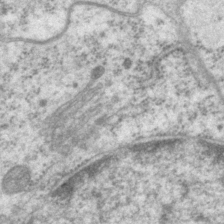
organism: P. pacificus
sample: Pharynx